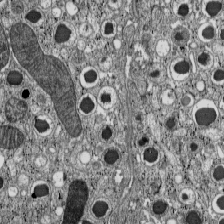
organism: C57BL Mouse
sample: Pancreatic islet